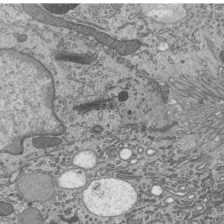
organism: Mouse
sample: Mouse epididymis efferent ductule cilia